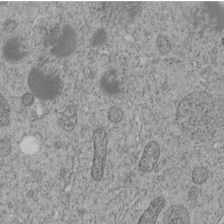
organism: C. elegans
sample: C. elegans embryo early stage